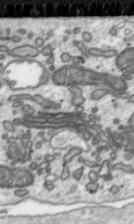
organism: Toxoplasma gondii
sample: Parasites in a vacuole inside a host cell